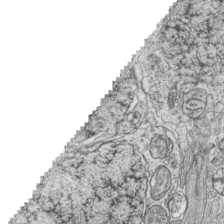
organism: Zebrafish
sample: synaptic ribbons in rod cells and cone cells